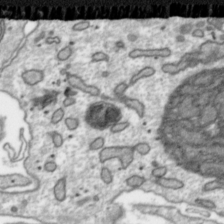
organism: Toxoplasma gondii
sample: Parasites in a vacuole inside a host cell